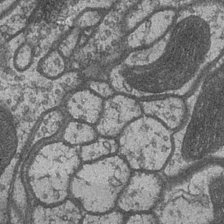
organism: Drosophila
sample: Optic medulla